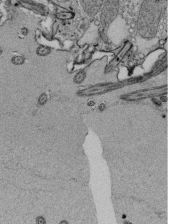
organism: Tetrahymena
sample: Cilia in tetrahymena